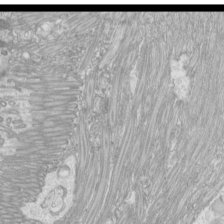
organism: Mouse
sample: Cilia; mouse epididymis